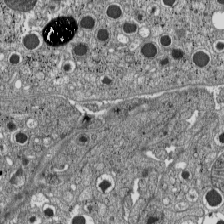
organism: C57BL Mouse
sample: Pancreatic islet